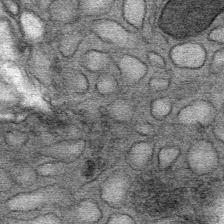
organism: Mouse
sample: Mouse Salivary gland